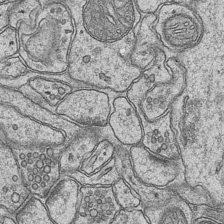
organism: Mouse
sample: CA1 Hippocampus